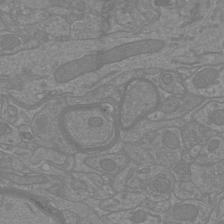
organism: Mouse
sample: Cortical neurons